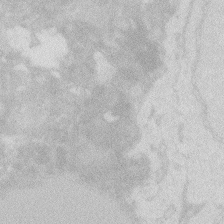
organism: Zebrafish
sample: Macrophage